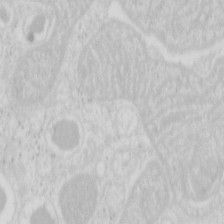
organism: Mouse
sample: Pancreas